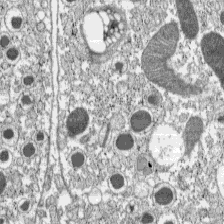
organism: C57BL Mouse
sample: Pancreatic islet